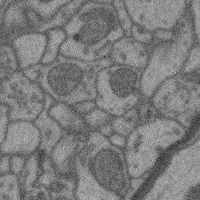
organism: Mouse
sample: Cerebral cortex